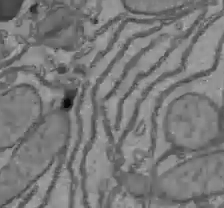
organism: C57BL Mouse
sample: Liver